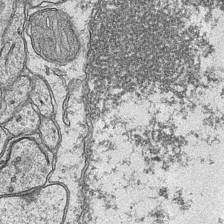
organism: Mouse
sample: CA1 Hippocampus